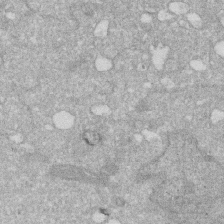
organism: Human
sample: HIV infected U937 cells